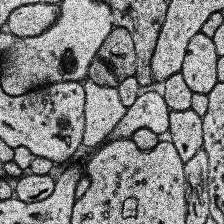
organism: Human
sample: Temporal Lobe